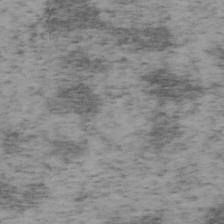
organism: Mouse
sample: OT-I killer T cells with ID8 ovarian cancer cells